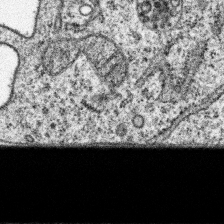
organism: Human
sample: HeLa cells